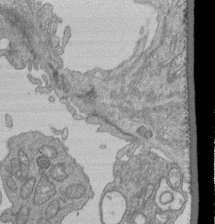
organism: Human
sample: Retinal organoid Rod and Cone cells